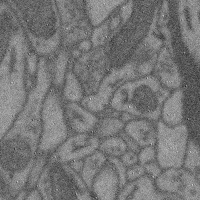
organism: Mouse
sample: Cerebral cortex